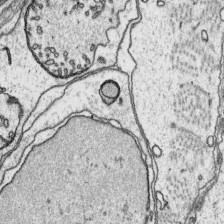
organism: Platynereis dumerilii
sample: Parapodia